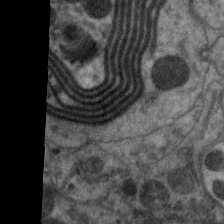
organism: C. elegans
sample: Pharynx